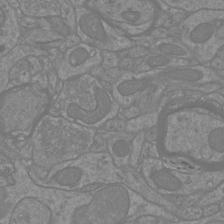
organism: Mouse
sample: Cortical neurons